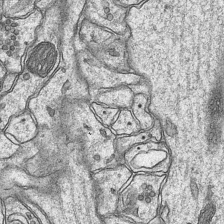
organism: Mouse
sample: CA1 Hippocampus